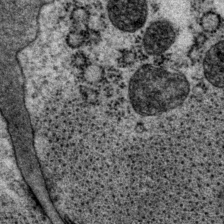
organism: P. pacificus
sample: Pharynx